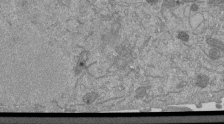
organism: Mouse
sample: ED-1 cell nuclei; centrioles